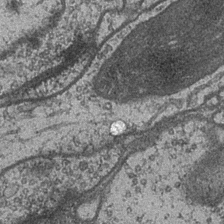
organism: Drosophila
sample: Optic medulla